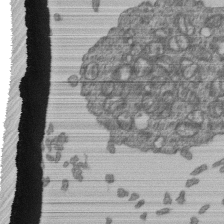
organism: Human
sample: Retinal organoid Rod and Cone cells